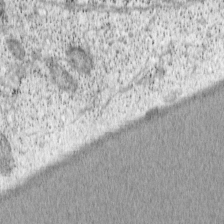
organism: African green monkey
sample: COS-7 cells